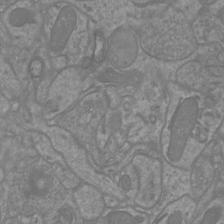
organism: Mouse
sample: Cortical neurons